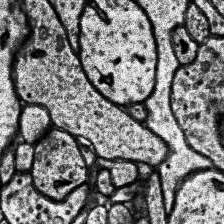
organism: Human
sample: Temporal Lobe